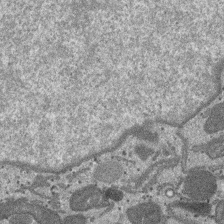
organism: Human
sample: Lung epithelial cells infected with SARS-CoV-2